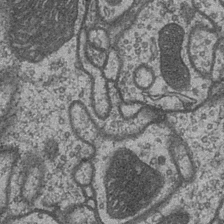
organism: Drosophila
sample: Optic medulla